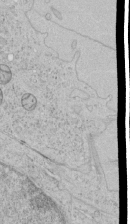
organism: Human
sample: Mitochondria in HCT116 cells